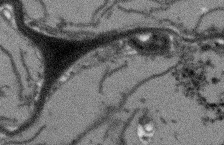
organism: Arabidopsis thaliana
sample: Root tip